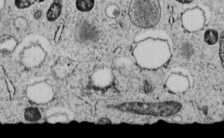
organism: C. elegans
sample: C. elegans embryo early stage